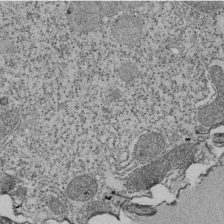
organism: Tetrahymena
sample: Cilia in tetrahymena